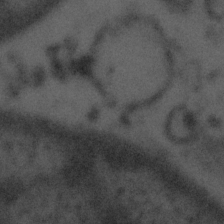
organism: Tuwongella immobilis